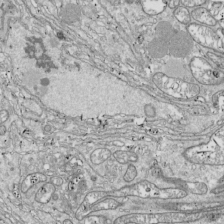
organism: Drosophila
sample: Cell division; meiosis; drosophila spermatocytes